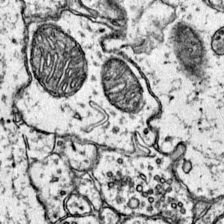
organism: Mouse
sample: Primary visual cortex